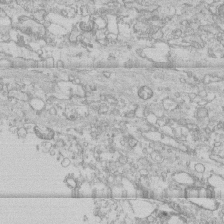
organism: Human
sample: CRL-1474